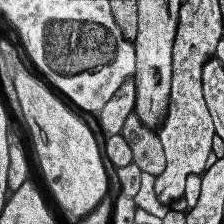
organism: Human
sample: Temporal Lobe